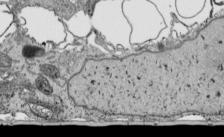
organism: Human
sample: Mitochondria in HCT116 cells